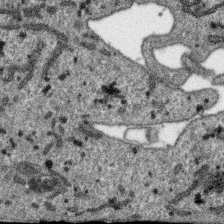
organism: Human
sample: Lung epithelial cells infected with SARS-CoV-2